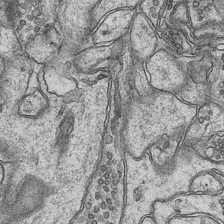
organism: Mouse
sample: CA1 Hippocampus